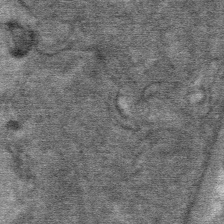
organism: Mouse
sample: Mouse Salivary gland